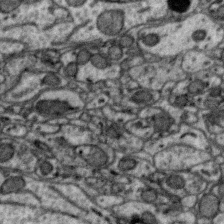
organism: Zebra finch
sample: Brain